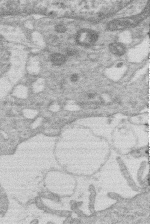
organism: Human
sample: Macrophage cells